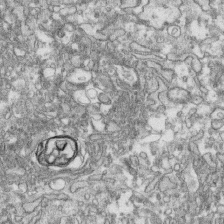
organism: Human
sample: CRL-1474